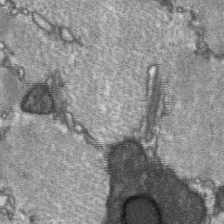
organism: C57BL Mouse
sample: Soleus